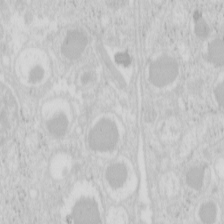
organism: Mouse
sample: Pancreas